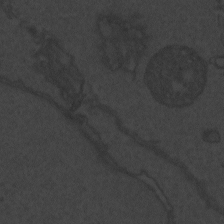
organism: Zebrafish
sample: Macrophage infected with Toxoplasma gondii